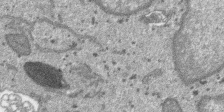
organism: Human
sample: Lung epithelial cells infected with SARS-CoV-2